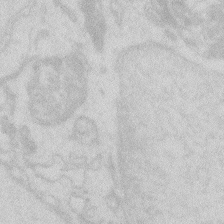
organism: Zebrafish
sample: Macrophage